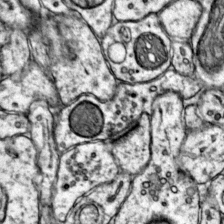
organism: Mouse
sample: Primary visual cortex